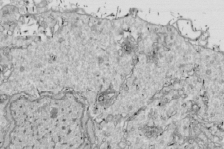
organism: Drosophila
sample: Cell division; meiosis; drosophila spermatocytes